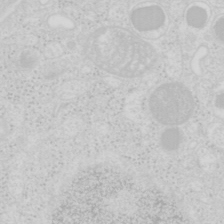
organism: Mouse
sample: Pancreas